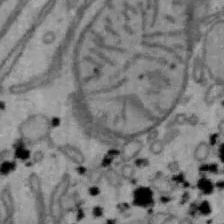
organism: Mouse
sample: Liver